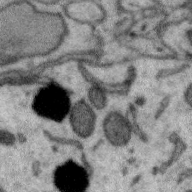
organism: Zebra finch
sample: Brain